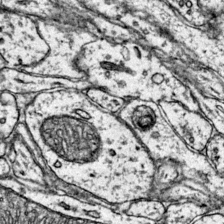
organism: Mouse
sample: Primary visual cortex